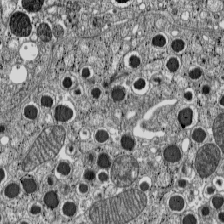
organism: C57BL Mouse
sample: Pancreatic islet